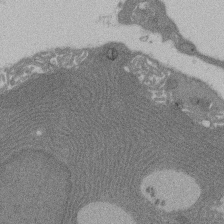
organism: Rat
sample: Salivary granule